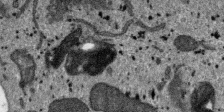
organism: Human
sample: Lung epithelial cells, uninfected (mock) control